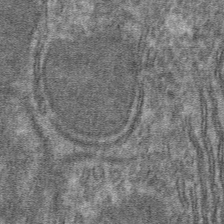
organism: Mouse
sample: Mouse hepatocytes